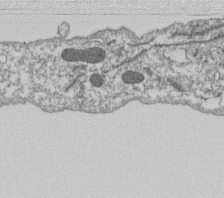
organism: Dictyostelium discoideum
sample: Dictyostelium multivesicular bodies